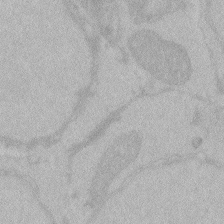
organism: Zebrafish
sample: Macrophage infected with Toxoplasma gondii